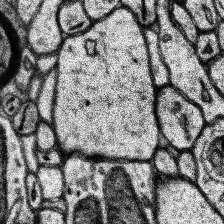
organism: Human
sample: Temporal Lobe